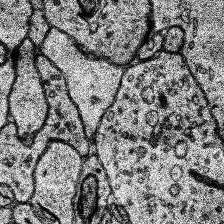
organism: Human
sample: Temporal Lobe